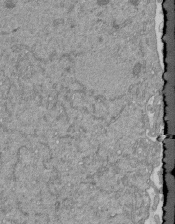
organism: Mouse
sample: ED-1 cell nuclei; centrioles